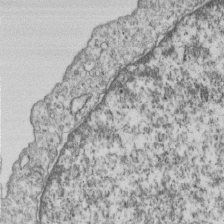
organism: Human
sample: MDA-MB-231 cells